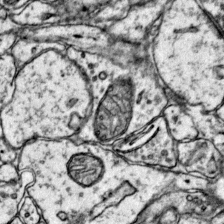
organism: Mouse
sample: Primary visual cortex